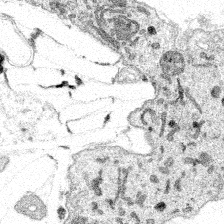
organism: Spongilla lacustris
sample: Multiple